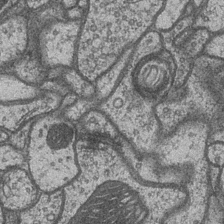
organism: Drosophila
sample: Optic medulla